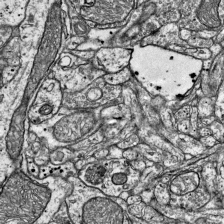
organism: Mouse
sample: Visual Cortex